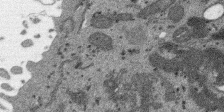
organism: Human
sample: Lung epithelial cells infected with SARS-CoV-2